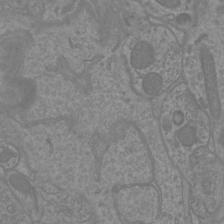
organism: Mouse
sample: Cortical neurons